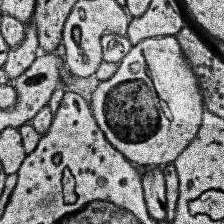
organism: Human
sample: Temporal Lobe